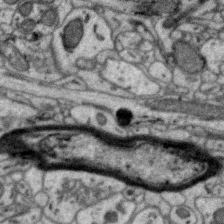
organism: Zebra finch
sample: Brain